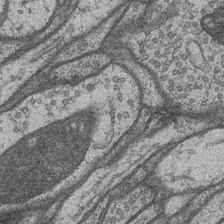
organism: Drosophila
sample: Optic medulla